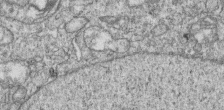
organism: Human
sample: HeLa cell HIV synapse